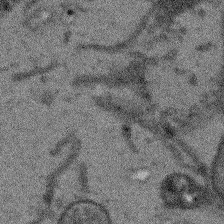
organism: Arabidopsis thaliana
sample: Root tip